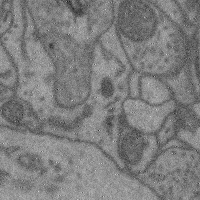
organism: Mouse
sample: Cerebral cortex